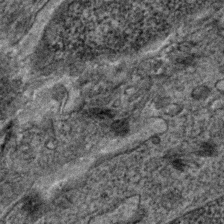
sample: Trachea